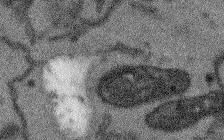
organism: Arabidopsis thaliana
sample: Root tip